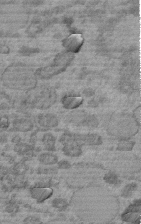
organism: C. elegans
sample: C. elegans embryo early stage